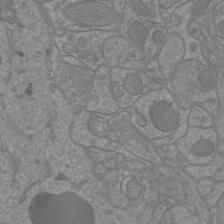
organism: Mouse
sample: Cortical neurons